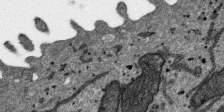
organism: Human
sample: Lung epithelial cells, uninfected (mock) control